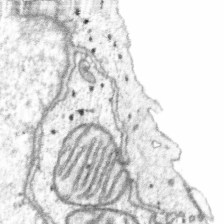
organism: Human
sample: HeLa cells